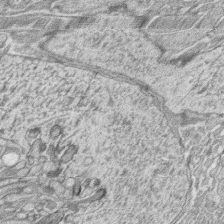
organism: Zebrafish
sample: synaptic ribbons in rod cells and cone cells